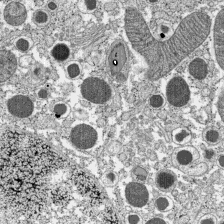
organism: C57BL Mouse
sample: Pancreatic islet